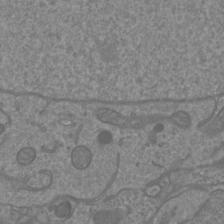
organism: Mouse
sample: Cortical neurons